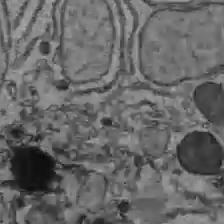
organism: C57BL Mouse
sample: Liver